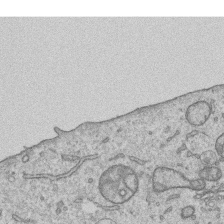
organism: Human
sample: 1205lu cells